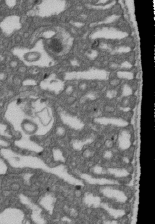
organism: Drosophila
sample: Nephrocyte